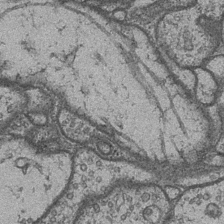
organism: Drosophila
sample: Optic medulla